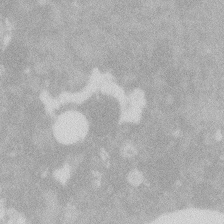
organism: Zebrafish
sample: Macrophage